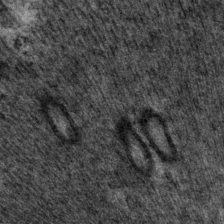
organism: P. pacificus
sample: Pharynx